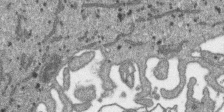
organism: Human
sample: Lung epithelial cells infected with SARS-CoV-2